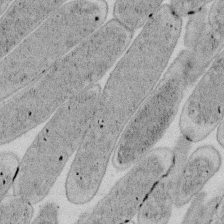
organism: E. coli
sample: Bacterial nucleoid